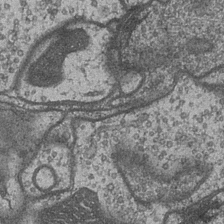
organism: Drosophila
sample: Optic medulla